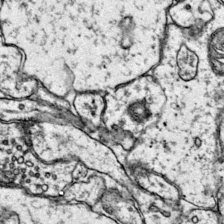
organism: Mouse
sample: Primary visual cortex